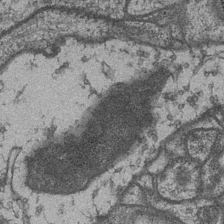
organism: Drosophila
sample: Optic medulla